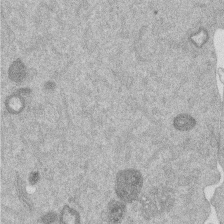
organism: Mouse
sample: Dividing mouse embryo 1 cell stage